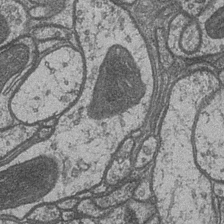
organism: Drosophila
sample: Optic medulla